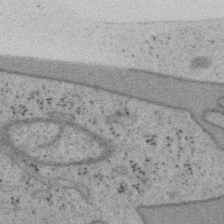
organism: Human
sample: HeLa cells